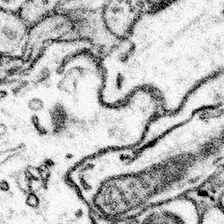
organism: Mouse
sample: Somatosensory cortex neuropil